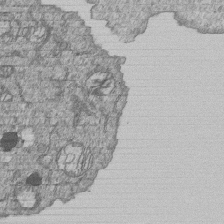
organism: Human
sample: MDA-MB-231 cells